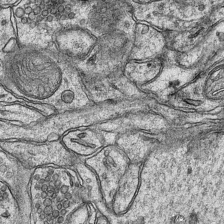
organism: Mouse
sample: CA1 Hippocampus